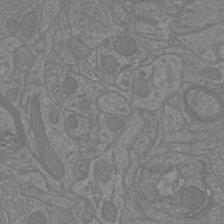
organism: Mouse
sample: Cortical neurons